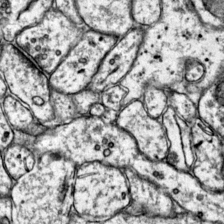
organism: Mouse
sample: Primary visual cortex